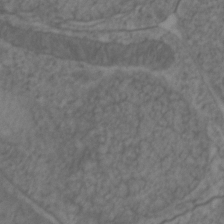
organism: Zebrafish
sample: Zebrafish embryo